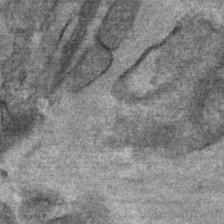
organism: Mouse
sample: Mouse Salivary gland